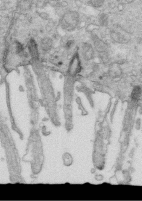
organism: Mouse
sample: Multiciliated cells